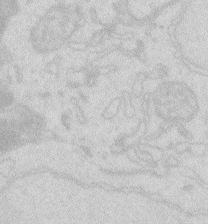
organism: Zebrafish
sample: Macrophage